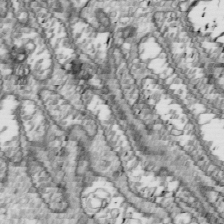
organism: Drosophila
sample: Cell division; meiosis; drosophila spermatocytes